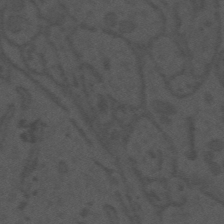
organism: Mouse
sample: Suprachiasmatic nucleus